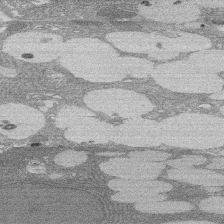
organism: Rat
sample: Salivary granule